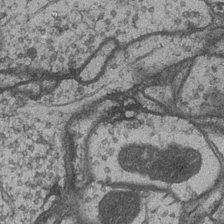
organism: Drosophila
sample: Optic medulla